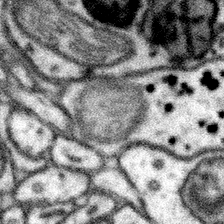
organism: Mouse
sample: Somatosensory cortex neuropil